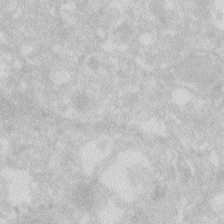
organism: Zebrafish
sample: Macrophage